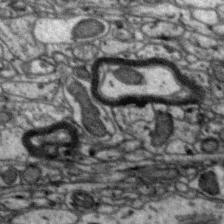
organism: Zebra finch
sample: Brain